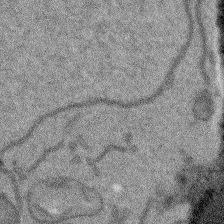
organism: Arabidopsis thaliana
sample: Root tip